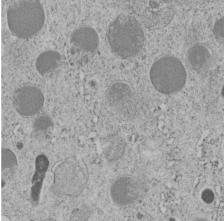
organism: C. elegans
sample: C. elegans embryo early stage